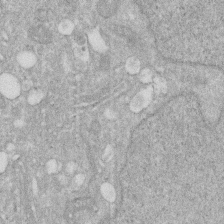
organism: Human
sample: HIV infected U937 cells